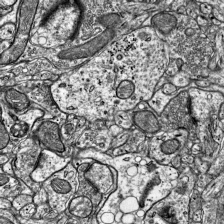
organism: Mouse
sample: Visual Cortex